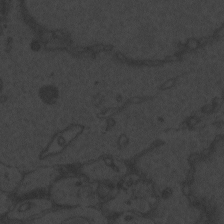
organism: Zebrafish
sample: Macrophage infected with Toxoplasma gondii